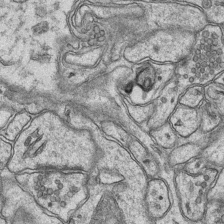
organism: Mouse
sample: CA1 Hippocampus